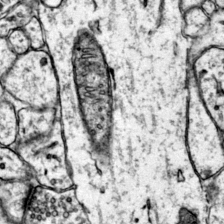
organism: Mouse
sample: Primary visual cortex